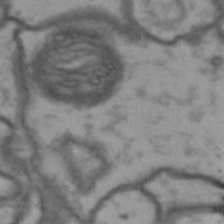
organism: Drosophila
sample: Brain